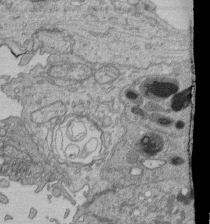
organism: Human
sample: Retinal organoid Rod and Cone cells